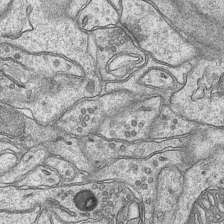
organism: Mouse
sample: CA1 Hippocampus